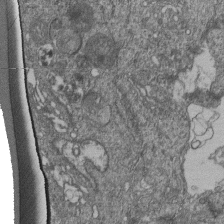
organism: Human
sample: Retinal organoid Rod and Cone cells